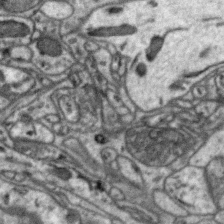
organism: Zebra finch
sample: Brain